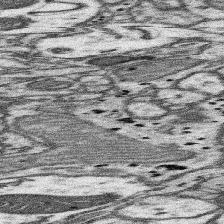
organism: Mouse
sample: Somatosensory cortex neuropil